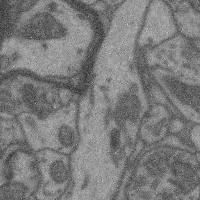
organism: Mouse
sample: Cerebral cortex